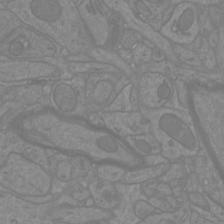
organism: Mouse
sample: Cortical neurons